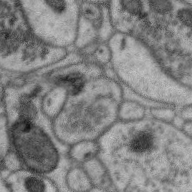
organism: Zebra finch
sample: Brain